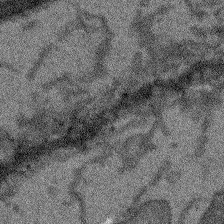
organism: Arabidopsis thaliana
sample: Root tip